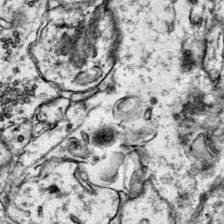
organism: Mouse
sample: Primary visual cortex